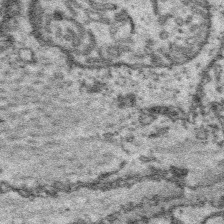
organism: Platynereis dumerilii